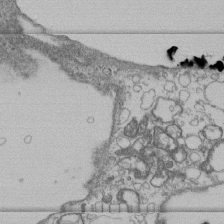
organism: Human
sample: Fibroblast cells